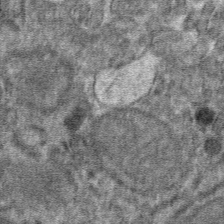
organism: Mouse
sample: Mouse hepatocytes